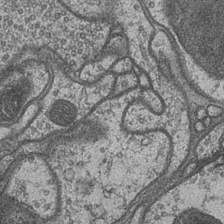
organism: Drosophila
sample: Optic medulla